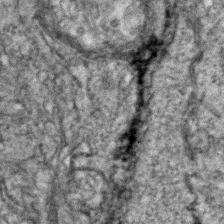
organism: Zebrafish